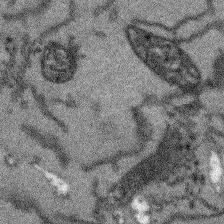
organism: Arabidopsis thaliana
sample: Root tip